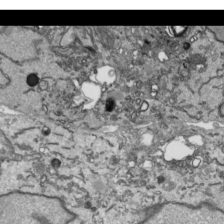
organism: Human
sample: Mitochondria in HCT116 cells